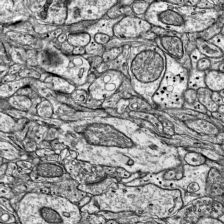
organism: Mouse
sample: Visual Cortex